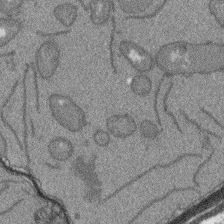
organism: Arabidopsis thaliana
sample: Root tip